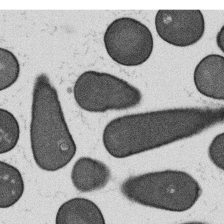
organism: B. subtilis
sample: Bacterial spore